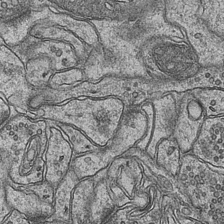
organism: Mouse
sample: CA1 Hippocampus